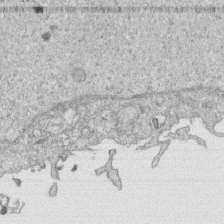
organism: Human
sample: HeLa cell HIV synapse